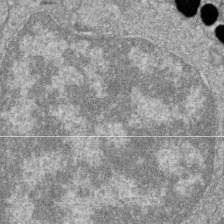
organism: Zebrafish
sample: Cilia; retinal pigment epithelium